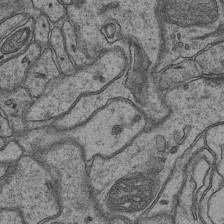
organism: Mouse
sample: CA1 Hippocampus